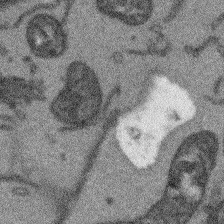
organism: Arabidopsis thaliana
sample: Root tip